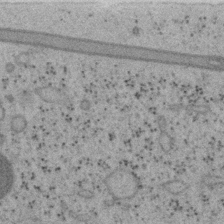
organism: Human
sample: HeLa cells